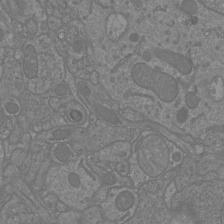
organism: Mouse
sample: Cortical neurons